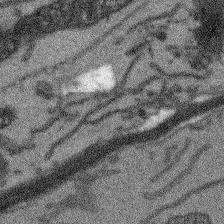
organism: Arabidopsis thaliana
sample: Root tip